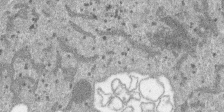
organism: Human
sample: Lung epithelial cells infected with SARS-CoV-2